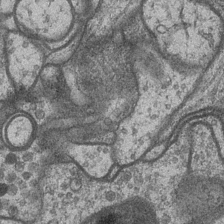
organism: Drosophila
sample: Optic medulla